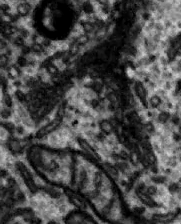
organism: Human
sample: HeLa cells